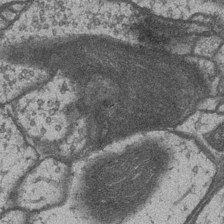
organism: Drosophila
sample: Optic medulla